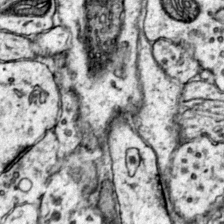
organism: Mouse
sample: Primary visual cortex